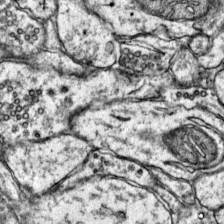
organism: Mouse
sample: Primary visual cortex